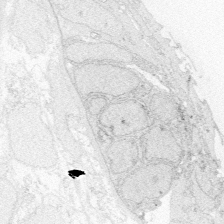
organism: Zebrafish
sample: Whole-Brain